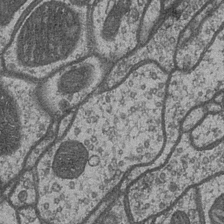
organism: Drosophila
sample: Optic medulla